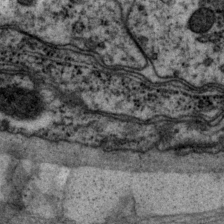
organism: P. pacificus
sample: Pharynx